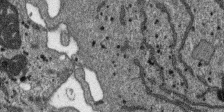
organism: Human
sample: Lung epithelial cells infected with SARS-CoV-2